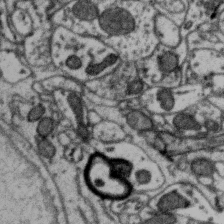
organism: Zebra finch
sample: Brain